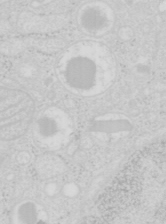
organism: Mouse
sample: Pancreas